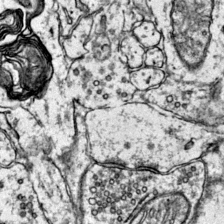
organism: Mouse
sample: Primary visual cortex